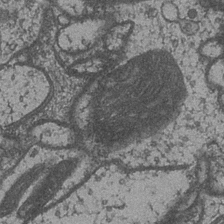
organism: Drosophila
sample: Optic medulla